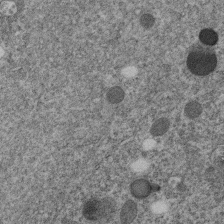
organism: C. elegans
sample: C. elegans embryo early stage